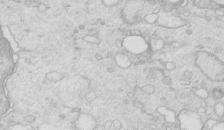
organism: Mouse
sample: Multiciliated cells